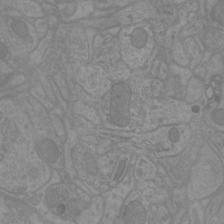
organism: Mouse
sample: Cortical neurons